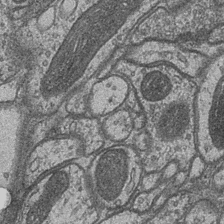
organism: Drosophila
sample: Optic medulla